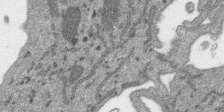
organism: Human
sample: Lung epithelial cells infected with SARS-CoV-2